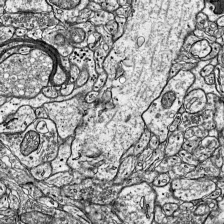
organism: Mouse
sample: Visual Cortex